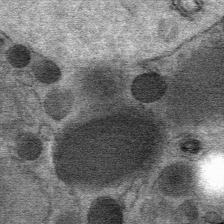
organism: Mouse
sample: Mouse Salivary gland